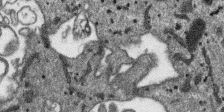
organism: Human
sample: Lung epithelial cells infected with SARS-CoV-2